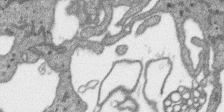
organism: Human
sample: Lung epithelial cells infected with SARS-CoV-2